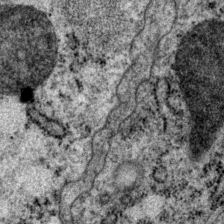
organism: P. pacificus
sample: Pharynx